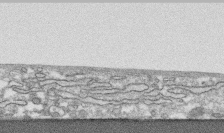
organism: Human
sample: CRL-1474